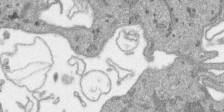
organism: Human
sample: Lung epithelial cells infected with SARS-CoV-2